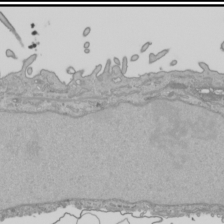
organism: Human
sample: Mitochondria in HCT116 cells